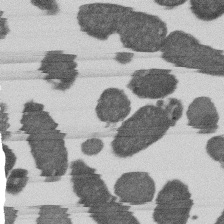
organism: E. coli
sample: Bacterial nucleoid